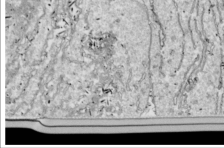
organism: Drosophila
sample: Cell division; meiosis; drosophila spermatocytes